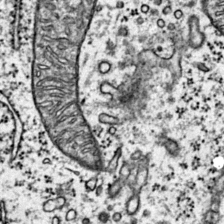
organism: Mouse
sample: Primary visual cortex